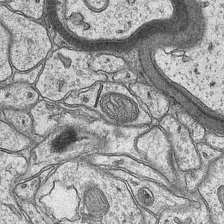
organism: Mouse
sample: CA1 Hippocampus